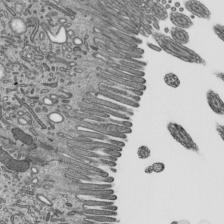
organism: Mouse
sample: Mouse epididymis efferent ductule cilia